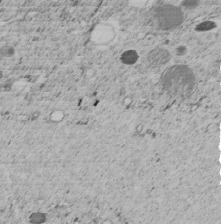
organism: C. elegans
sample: C. elegans embryo early stage